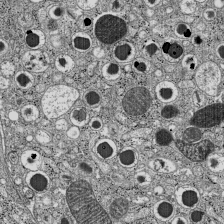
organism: C57BL Mouse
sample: Pancreatic islet